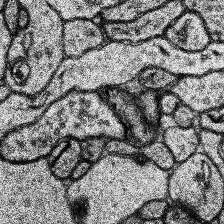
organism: Human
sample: Temporal Lobe